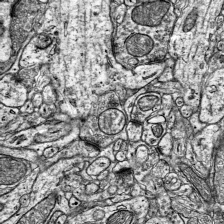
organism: Mouse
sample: Visual Cortex